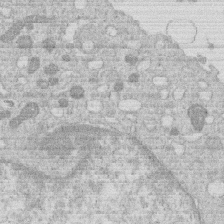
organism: Human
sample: Macrophage cells